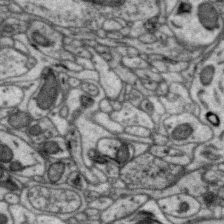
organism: Zebra finch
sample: Brain